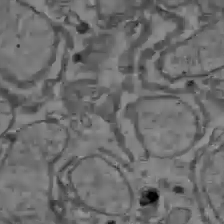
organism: C57BL Mouse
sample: Liver